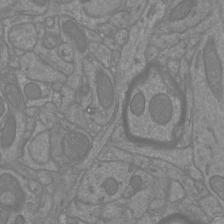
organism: Mouse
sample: Cortical neurons